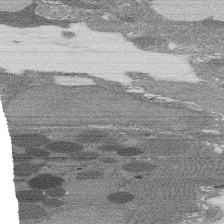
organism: Rat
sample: Salivary granule